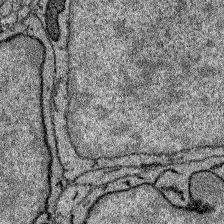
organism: Zebrafish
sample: Larval olfactory bulb